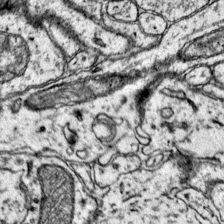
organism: Mouse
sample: Primary visual cortex